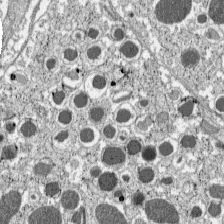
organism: C57BL Mouse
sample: Pancreatic islet